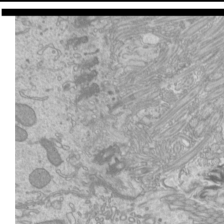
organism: Mouse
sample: Cilia; mouse epididymis